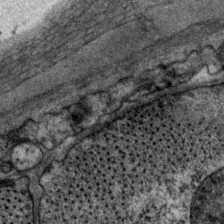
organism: P. pacificus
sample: Pharynx